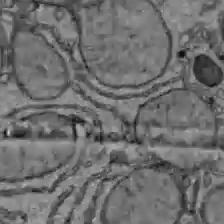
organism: C57BL Mouse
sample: Liver